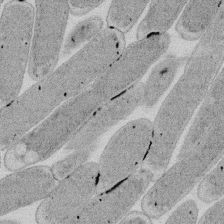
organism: E. coli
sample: Bacterial nucleoid